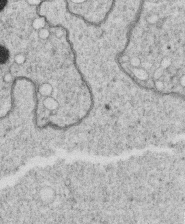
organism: C. elegans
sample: C. elegans oocyte; sperm cells